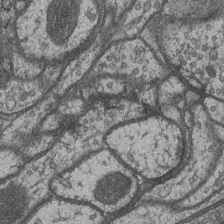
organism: Drosophila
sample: Optic medulla